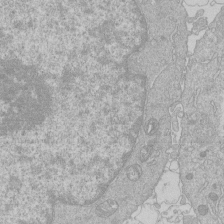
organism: Human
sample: Macrophage cells